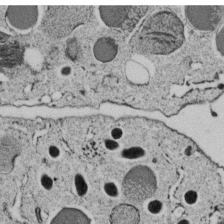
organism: C. elegans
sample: C. elegans embryo early stage